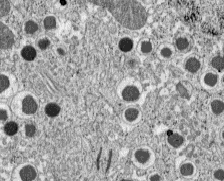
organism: C57BL Mouse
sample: Pancreatic islet